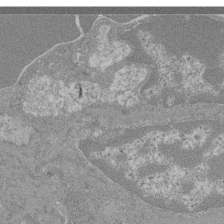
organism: Mouse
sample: Glomerulus